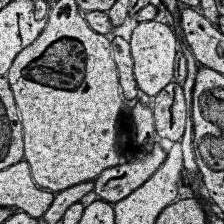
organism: Human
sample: Temporal Lobe